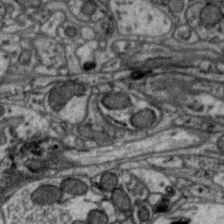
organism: Zebra finch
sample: Brain